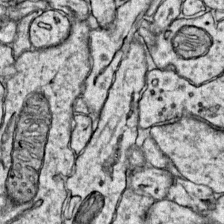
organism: Mouse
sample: Primary visual cortex